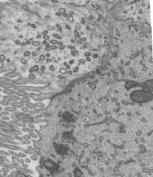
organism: Mouse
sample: Mouse epididymis efferent ductule cilia